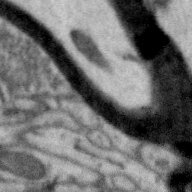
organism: Zebra finch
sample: Brain